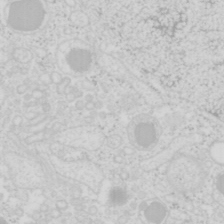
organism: Mouse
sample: Pancreas